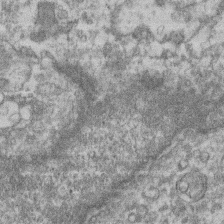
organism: Mouse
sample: T cell stromal cell synapse